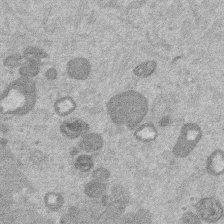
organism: Mouse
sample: Dividing mouse embryo 1 cell stage